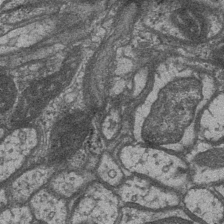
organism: Drosophila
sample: Optic medulla